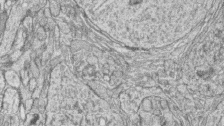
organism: Zebrafish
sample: synaptic ribbons in rod cells and cone cells